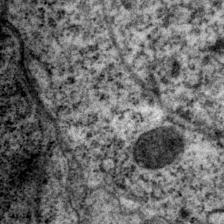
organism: P. pacificus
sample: Pharynx